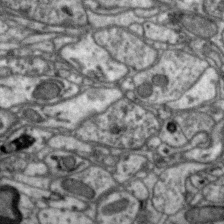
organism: Zebra finch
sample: Brain